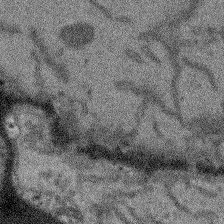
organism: Arabidopsis thaliana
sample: Root tip